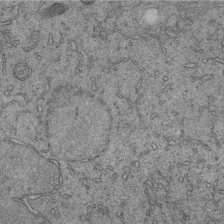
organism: C. elegans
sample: C. elegans embryo early stage